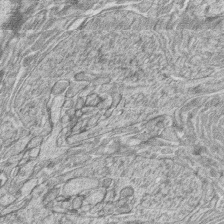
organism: Zebrafish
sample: synaptic ribbons in rod cells and cone cells